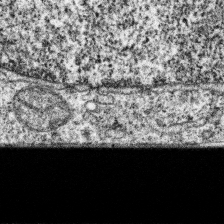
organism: Human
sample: HeLa cells